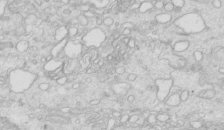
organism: Mouse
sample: Multiciliated cells